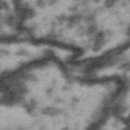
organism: Drosophila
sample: Brain